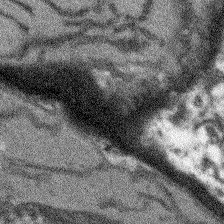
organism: Arabidopsis thaliana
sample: Root tip